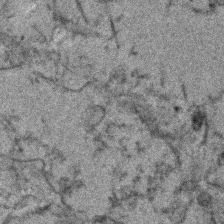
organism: Human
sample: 1205lu cells